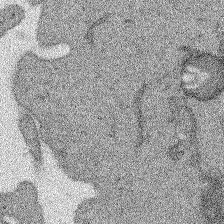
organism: Human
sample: HeLa cells